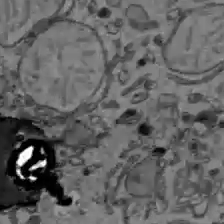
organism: C57BL Mouse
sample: Liver